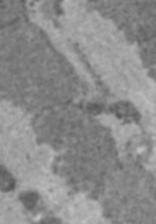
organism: C57BL Mouse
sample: Heart